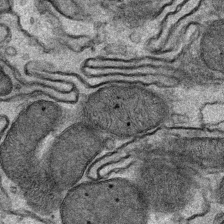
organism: Mouse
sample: Mouse Salivary gland